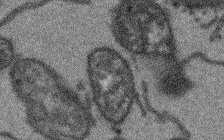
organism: Arabidopsis thaliana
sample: Root tip